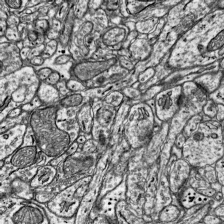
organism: Mouse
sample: Visual Cortex